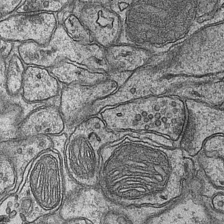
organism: Mouse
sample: CA1 Hippocampus